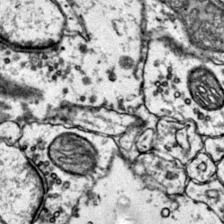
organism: Mouse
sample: Primary visual cortex